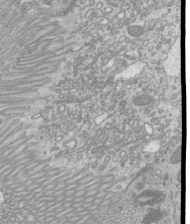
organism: Mouse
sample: Cilia; mouse epididymis